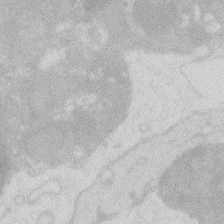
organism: Zebrafish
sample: Macrophage